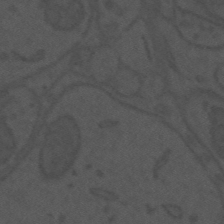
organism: Mouse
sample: Suprachiasmatic nucleus